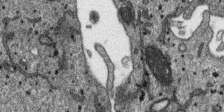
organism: Human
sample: Lung epithelial cells infected with SARS-CoV-2